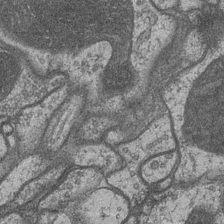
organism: Drosophila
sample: Optic medulla